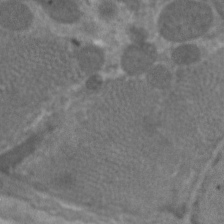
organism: C. elegans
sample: Pharynx